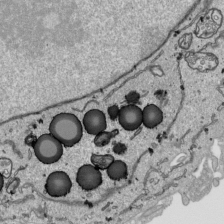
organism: Human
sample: Mitochondria in HCT116 cells